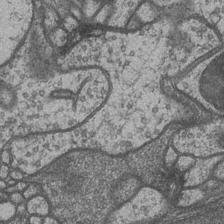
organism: Drosophila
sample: Optic medulla